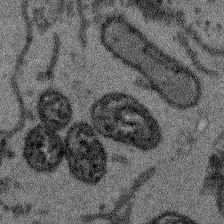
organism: Arabidopsis thaliana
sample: Root tip